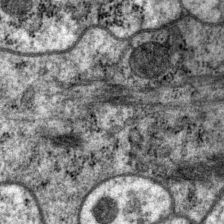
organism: P. pacificus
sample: Pharynx